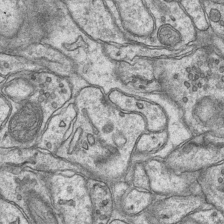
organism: Mouse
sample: CA1 Hippocampus